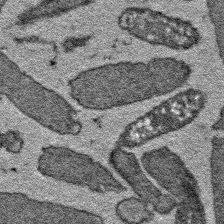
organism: E. coli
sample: E. Coli Bacteria